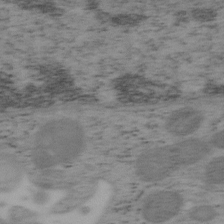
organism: Mouse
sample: OT-I killer T cells with ID8 ovarian cancer cells